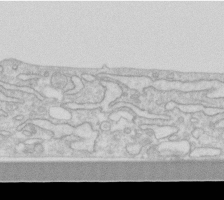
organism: Human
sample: Fibroblast cells